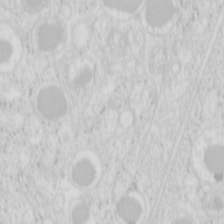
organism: Mouse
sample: Pancreas